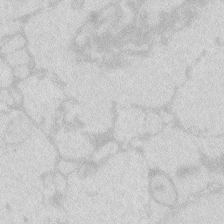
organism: Zebrafish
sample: Macrophage